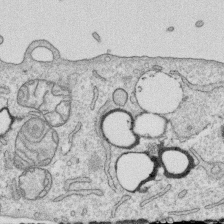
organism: Human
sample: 1205lu cells